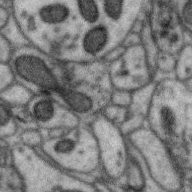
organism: Zebra finch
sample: Brain